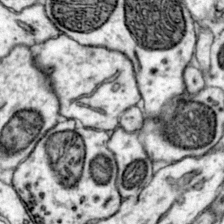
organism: Mouse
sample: Primary visual cortex